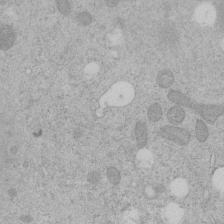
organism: C. elegans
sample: C. elegans embryo early stage